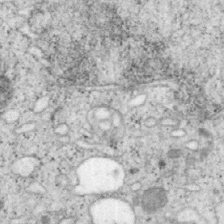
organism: Mouse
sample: OT-I killer T cells with ID8 ovarian cancer cells